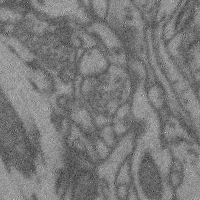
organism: Mouse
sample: Cerebral cortex